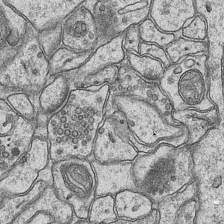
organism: Mouse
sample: CA1 Hippocampus